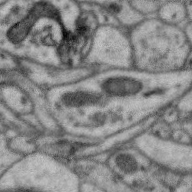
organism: Zebra finch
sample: Brain